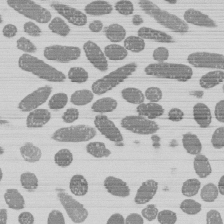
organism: E. coli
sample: Bacterial nucleoid